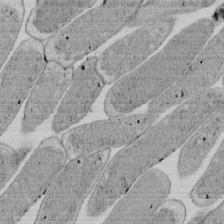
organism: E. coli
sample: Bacterial nucleoid